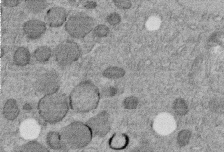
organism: C. elegans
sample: C. elegans embryo early stage